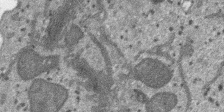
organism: Human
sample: Lung epithelial cells infected with SARS-CoV-2